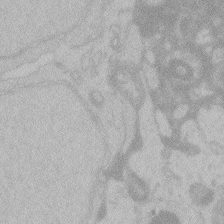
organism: Zebrafish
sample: Macrophage infected with Toxoplasma gondii